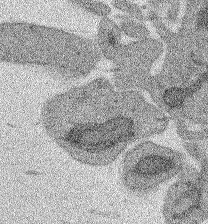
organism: Human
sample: HeLa cells